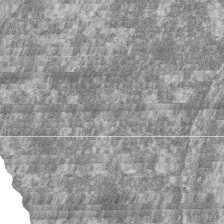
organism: Zebrafish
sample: Cilia; retinal pigment epithelium